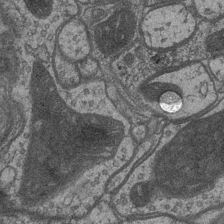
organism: Drosophila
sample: Optic medulla